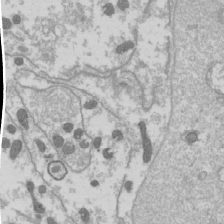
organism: Drosophila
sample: Cell division; meiosis; drosophila spermatocytes